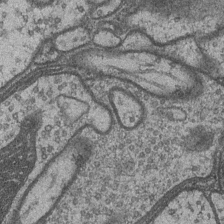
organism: Drosophila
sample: Optic medulla